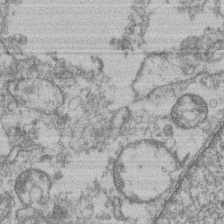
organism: Mouse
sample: T cell stromal cell synapse